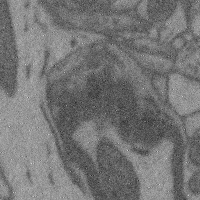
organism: Mouse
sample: Cerebral cortex